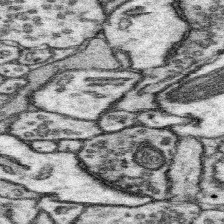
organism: Mouse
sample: Somatosensory cortex neuropil